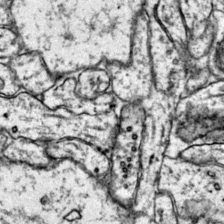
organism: Mouse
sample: Primary visual cortex